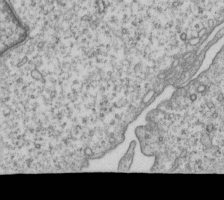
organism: Human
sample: MDA-MB-231 cells